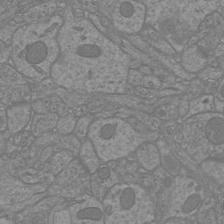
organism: Mouse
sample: Cortical neurons